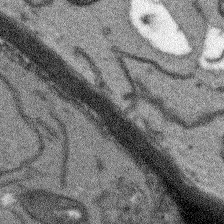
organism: Arabidopsis thaliana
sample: Root tip